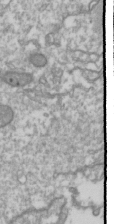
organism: Drosophila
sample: Cell division; meiosis; drosophila spermatocytes